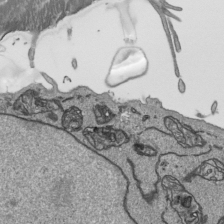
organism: Human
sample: Mitochondria in HCT116 cells